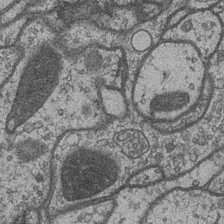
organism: Drosophila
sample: Optic medulla